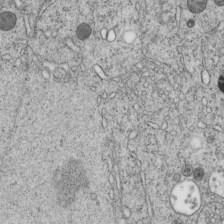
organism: C. elegans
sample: C. elegans embryo early stage